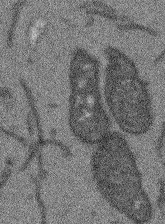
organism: Arabidopsis thaliana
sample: Root tip